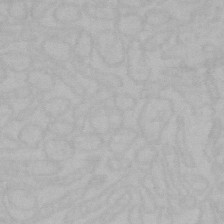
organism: Mouse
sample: Choroid plexus